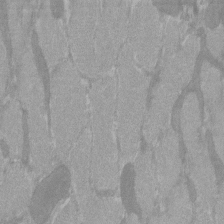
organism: C57BL Mouse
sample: Tibialis anterior muscle cell